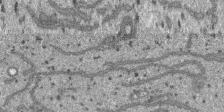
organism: Human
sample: Lung epithelial cells infected with SARS-CoV-2